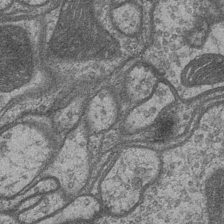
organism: Drosophila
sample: Optic medulla